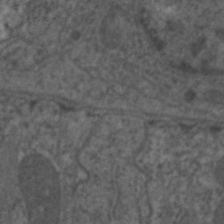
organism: C. elegans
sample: Pharynx